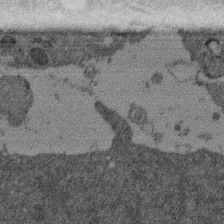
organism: Mouse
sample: Dividing mouse embryo 1 cell stage